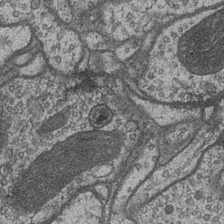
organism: Drosophila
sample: Optic medulla